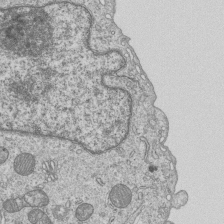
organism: Human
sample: MDA-MB-231 cells